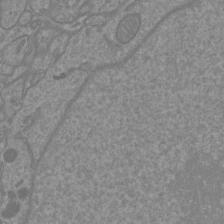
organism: Mouse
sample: Cortical neurons